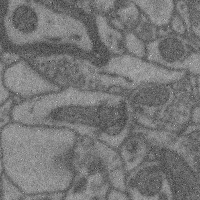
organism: Mouse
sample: Cerebral cortex